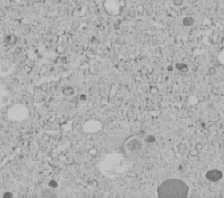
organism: C. elegans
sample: C. elegans embryo early stage